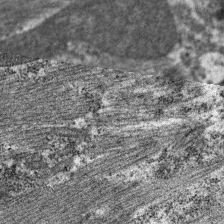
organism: C. elegans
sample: Pharynx